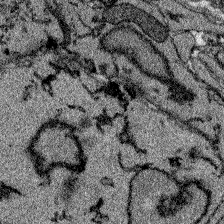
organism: Zebrafish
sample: Larval olfactory bulb